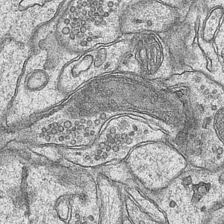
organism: Mouse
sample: CA1 Hippocampus